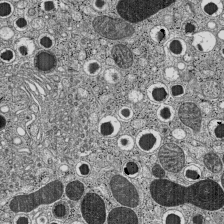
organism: C57BL Mouse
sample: Pancreatic islet